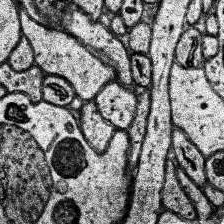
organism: Human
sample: Temporal Lobe